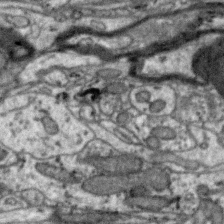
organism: Zebra finch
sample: Brain